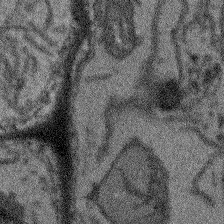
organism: Arabidopsis thaliana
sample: Root tip